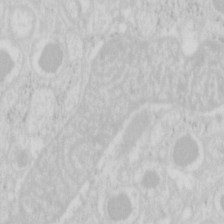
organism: Mouse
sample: Pancreas